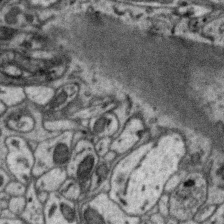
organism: Zebra finch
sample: Brain